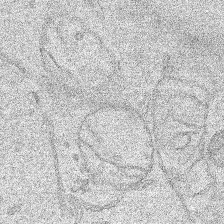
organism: Human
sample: Mitochondria in HCT116 cells